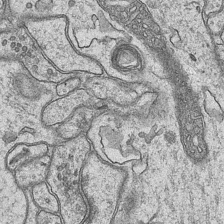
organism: Mouse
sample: CA1 Hippocampus